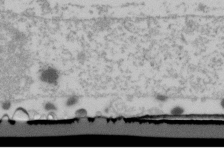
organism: Human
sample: U2-OS cells